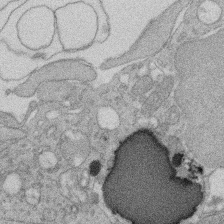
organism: Rat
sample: Salivary granule